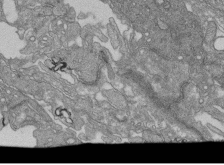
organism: Human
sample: Retinal organoid Rod and Cone cells